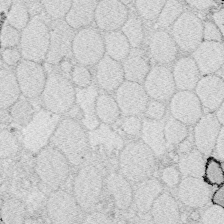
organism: Zebrafish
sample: Whole-Brain